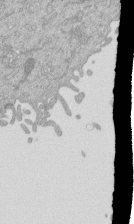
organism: Mouse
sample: ED-1 cell nuclei; centrioles